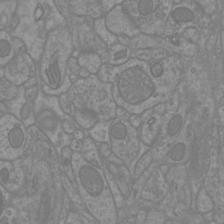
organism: Mouse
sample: Cortical neurons